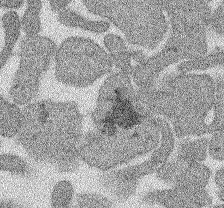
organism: Human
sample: HeLa cells